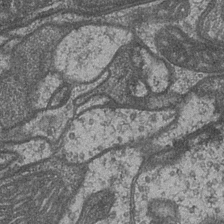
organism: Drosophila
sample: Optic medulla